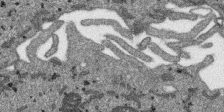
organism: Human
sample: Lung epithelial cells infected with SARS-CoV-2